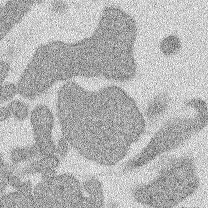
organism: Human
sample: HeLa cells